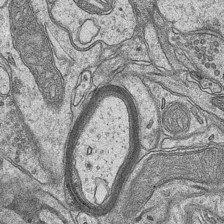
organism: Mouse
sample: CA1 Hippocampus